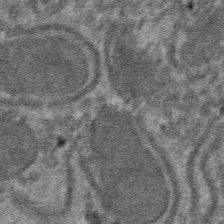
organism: Mouse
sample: Mouse hepatocytes